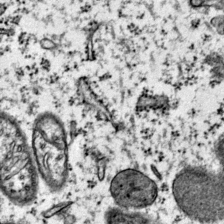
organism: Mouse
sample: Primary visual cortex